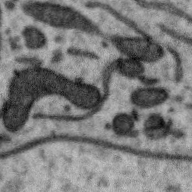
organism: Zebra finch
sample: Brain